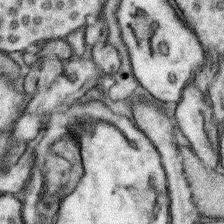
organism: Mouse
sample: Somatosensory cortex neuropil